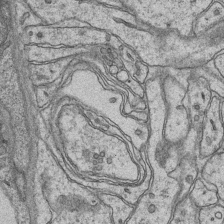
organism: Mouse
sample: CA1 Hippocampus